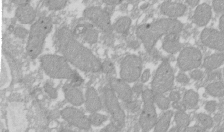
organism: Xenopus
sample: Cilia; centrioles in frog embryo cells